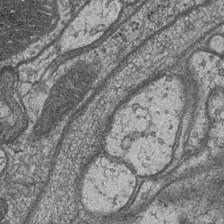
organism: Drosophila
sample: Optic medulla